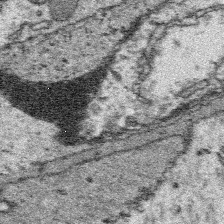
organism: Platynereis dumerilii